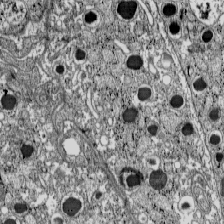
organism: C57BL Mouse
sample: Pancreatic islet